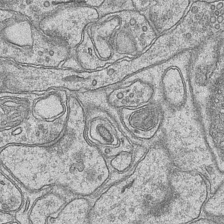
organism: Mouse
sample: CA1 Hippocampus